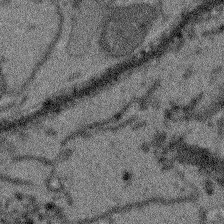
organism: Arabidopsis thaliana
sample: Root tip